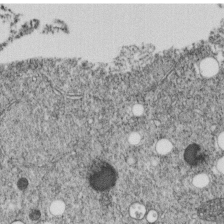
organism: C. elegans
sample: C. elegans embryo early stage